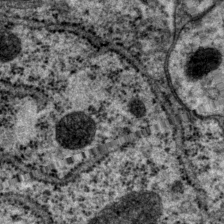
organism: P. pacificus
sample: Pharynx